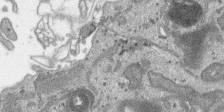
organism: Human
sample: Lung epithelial cells infected with SARS-CoV-2